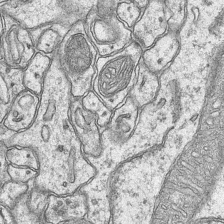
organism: Mouse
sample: CA1 Hippocampus